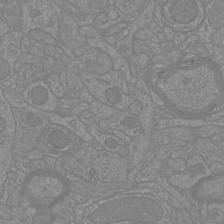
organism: Mouse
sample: Cortical neurons